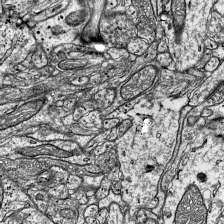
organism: Mouse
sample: Visual Cortex